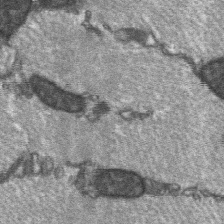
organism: C57BL Mouse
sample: Soleus